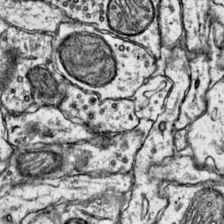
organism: Mouse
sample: Primary visual cortex